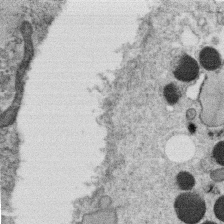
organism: C. elegans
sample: C. elegans oocyte; sperm cells